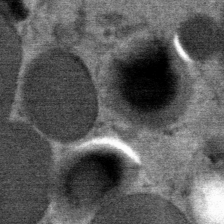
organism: Mouse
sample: Mouse Salivary gland